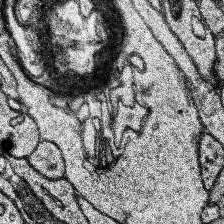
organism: Human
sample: Temporal Lobe